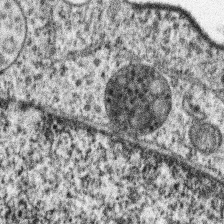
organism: Human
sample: HeLa cells